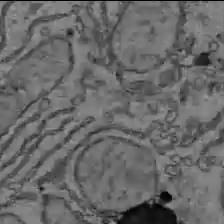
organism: C57BL Mouse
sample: Liver